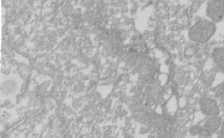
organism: Xenopus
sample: Cilia; centrioles in frog embryo cells